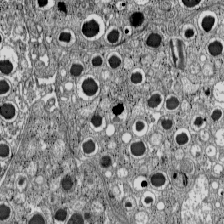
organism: C57BL Mouse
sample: Pancreatic islet